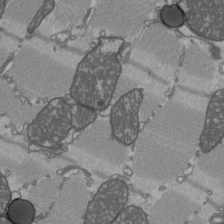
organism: C57BL Mouse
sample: Heart